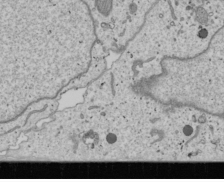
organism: Human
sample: Mitochondria in U2OS cells